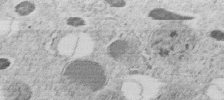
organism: C. elegans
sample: C. elegans embryo early stage